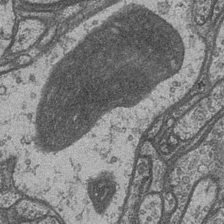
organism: Drosophila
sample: Optic medulla